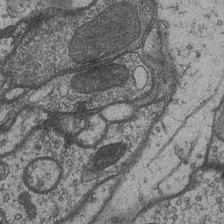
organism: Drosophila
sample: Optic medulla